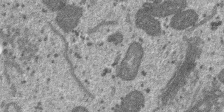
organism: Human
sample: Lung epithelial cells infected with SARS-CoV-2